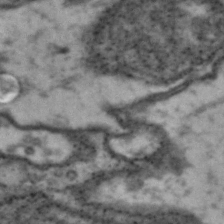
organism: Drosophila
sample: Brain